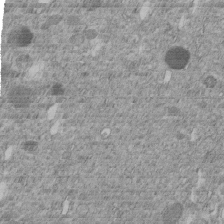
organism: C. elegans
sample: C. elegans embryo early stage